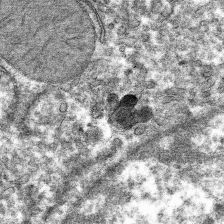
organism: Mouse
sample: Mouse hepatocytes